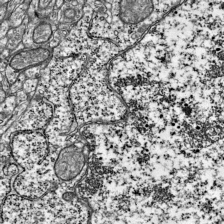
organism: Mouse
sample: Visual Cortex